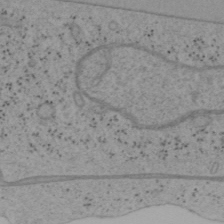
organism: Human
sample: HeLa cells